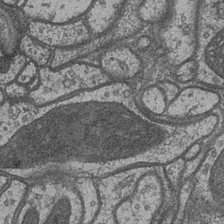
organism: Drosophila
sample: Optic medulla